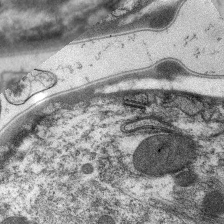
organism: C. elegans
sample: Pharynx